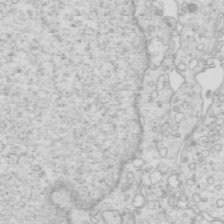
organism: Mouse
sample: Multiciliated cells